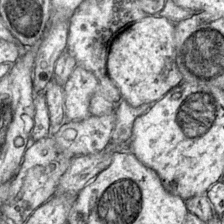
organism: Mouse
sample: Primary visual cortex